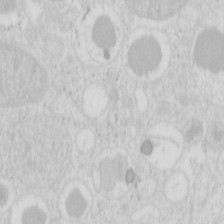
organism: Mouse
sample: Pancreas